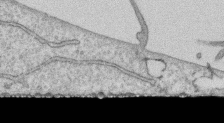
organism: Human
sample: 1205lu cells